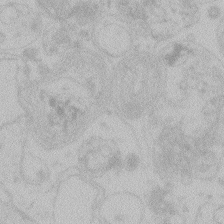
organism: Zebrafish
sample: Macrophage infected with Toxoplasma gondii